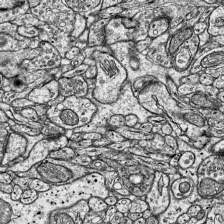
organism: Mouse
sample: Visual Cortex